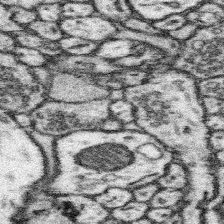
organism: Mouse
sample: Somatosensory cortex neuropil